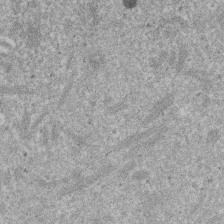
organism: Mouse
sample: Dividing mouse embryo 1 cell stage